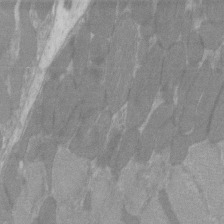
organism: C57BL Mouse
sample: Tibialis anterior muscle cell